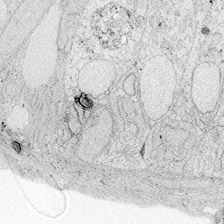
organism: Zebrafish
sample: Whole-Brain